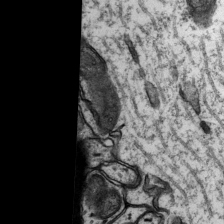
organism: Rat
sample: Hippocampus